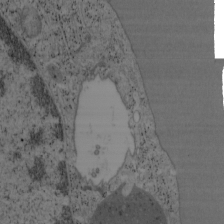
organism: Mouse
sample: OT-I killer T cells with ID8 ovarian cancer cells